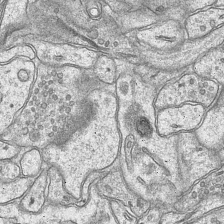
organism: Mouse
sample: CA1 Hippocampus